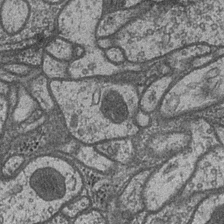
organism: Drosophila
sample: Optic medulla